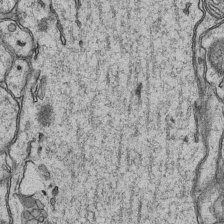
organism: Mouse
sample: CA1 Hippocampus